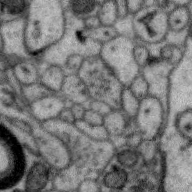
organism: Zebra finch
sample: Brain